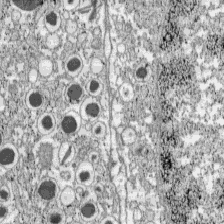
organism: C57BL Mouse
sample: Pancreatic islet